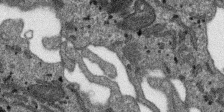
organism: Human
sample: Lung epithelial cells infected with SARS-CoV-2